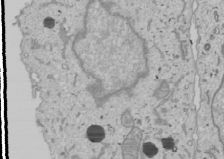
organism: Human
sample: Mitochondria in U2OS cells